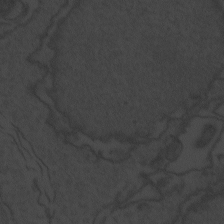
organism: Zebrafish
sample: Macrophage infected with Toxoplasma gondii